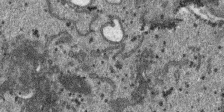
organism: Human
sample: Lung epithelial cells infected with SARS-CoV-2